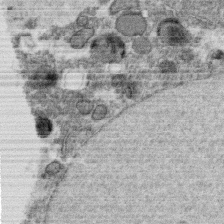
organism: C. elegans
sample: C. elegans oocyte; sperm cells